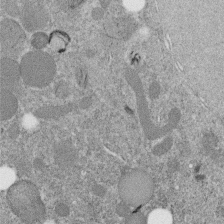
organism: C. elegans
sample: C. elegans embryo early stage